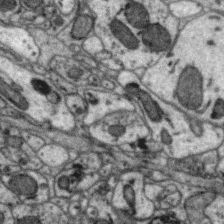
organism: Zebra finch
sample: Brain